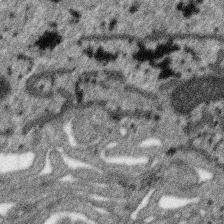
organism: Human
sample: Lung epithelial cells infected with SARS-CoV-2